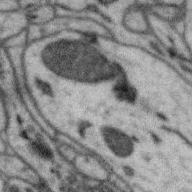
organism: Zebra finch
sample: Brain